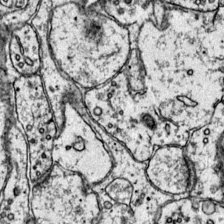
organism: Mouse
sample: Primary visual cortex